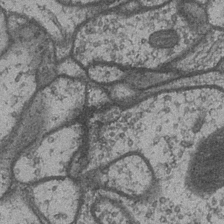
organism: Drosophila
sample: Optic medulla